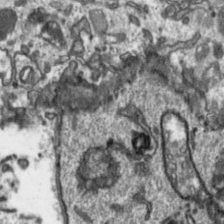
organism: Toxoplasma gondii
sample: Parasites in a vacuole inside a host cell